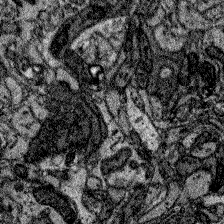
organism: Zebrafish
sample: Larval olfactory bulb